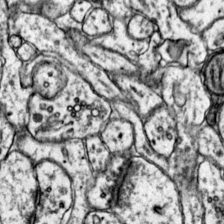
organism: Mouse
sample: Primary visual cortex